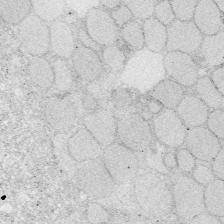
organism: Zebrafish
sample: Whole-Brain